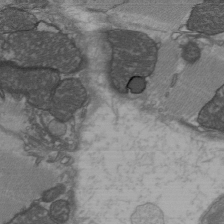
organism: C57BL Mouse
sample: Heart